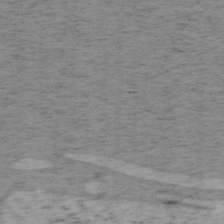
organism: Mouse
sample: OT-I killer T cells with ID8 ovarian cancer cells